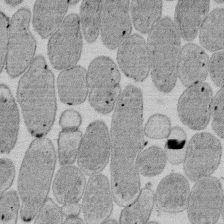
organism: E. coli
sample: Bacterial nucleoid